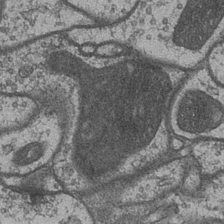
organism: Drosophila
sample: Optic medulla